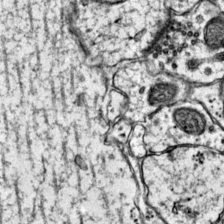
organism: Mouse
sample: Primary visual cortex